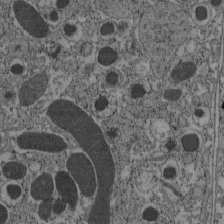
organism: C57BL Mouse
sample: Pancreatic islet